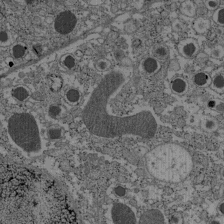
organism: C57BL Mouse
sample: Pancreatic islet